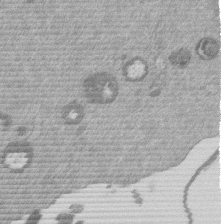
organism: Mouse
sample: Dividing mouse embryo 1 cell stage